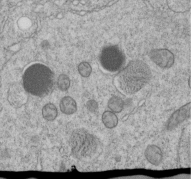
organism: C. elegans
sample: C. elegans embryo early stage